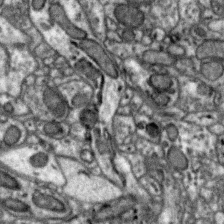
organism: Zebra finch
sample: Brain